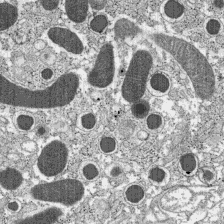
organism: C57BL Mouse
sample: Pancreatic islet